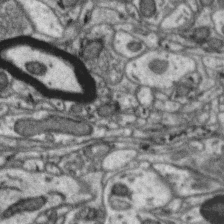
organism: Zebra finch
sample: Brain